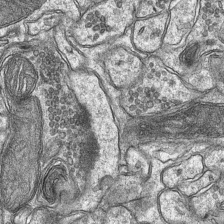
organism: Mouse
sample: CA1 Hippocampus